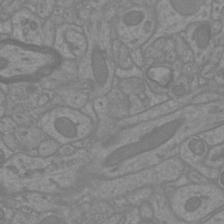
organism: Mouse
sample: Cortical neurons